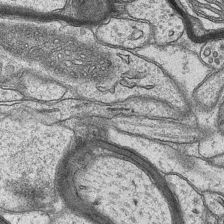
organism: Mouse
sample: CA1 Hippocampus